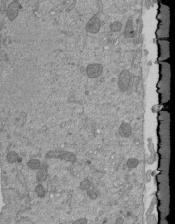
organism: Mouse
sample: ED-1 cell nuclei; centrioles